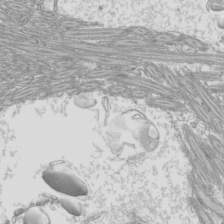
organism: Mouse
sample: Cilia; mouse epididymis